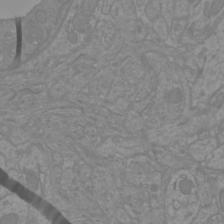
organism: Mouse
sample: Cortical neurons